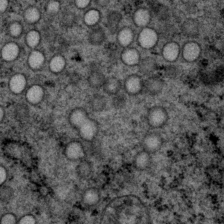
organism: P. pacificus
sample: Pharynx